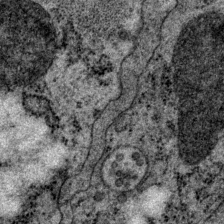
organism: P. pacificus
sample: Pharynx